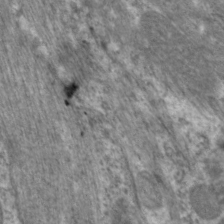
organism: C. elegans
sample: Pharynx